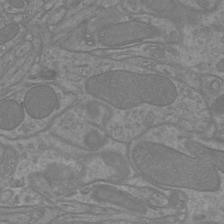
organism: Mouse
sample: Cortical neurons